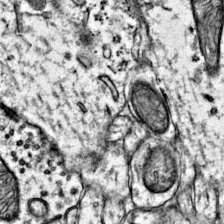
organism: Mouse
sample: Primary visual cortex